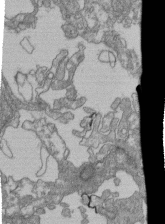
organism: Human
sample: Retinal organoid Rod and Cone cells